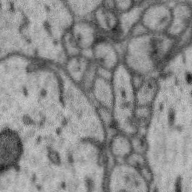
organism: Zebra finch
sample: Brain